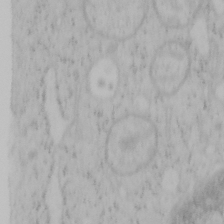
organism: Mouse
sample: OT-I killer T cells with ID8 ovarian cancer cells